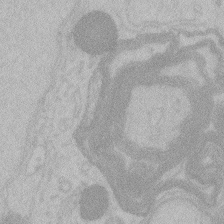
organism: Zebrafish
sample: Macrophage infected with Toxoplasma gondii